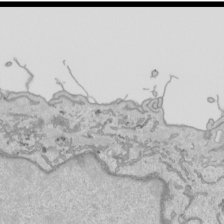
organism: Human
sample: Mitochondria in HCT116 cells